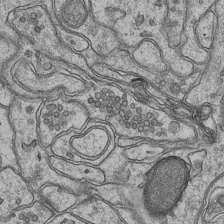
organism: Mouse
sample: CA1 Hippocampus